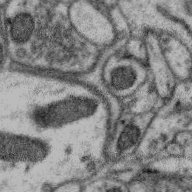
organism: Zebra finch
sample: Brain